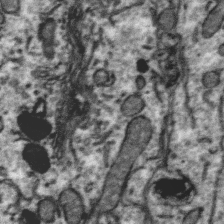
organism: Zebra finch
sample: Brain